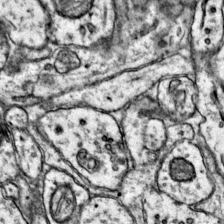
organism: Mouse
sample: Primary visual cortex